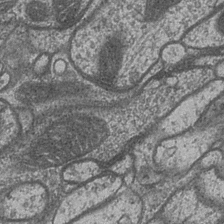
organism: Drosophila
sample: Optic medulla